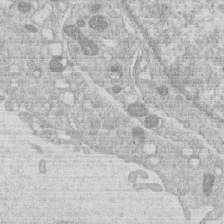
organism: Human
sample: Macrophage cells